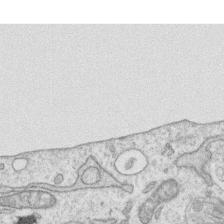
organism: Human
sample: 1205lu cells